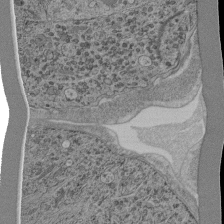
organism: C. elegans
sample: C. elegans pharynx